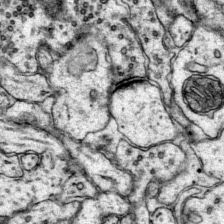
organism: Mouse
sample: Primary visual cortex